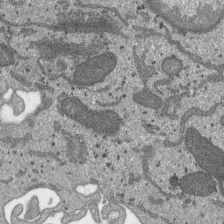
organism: Human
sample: Lung epithelial cells infected with SARS-CoV-2